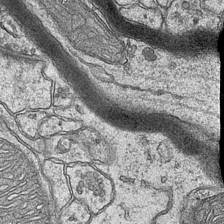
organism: Mouse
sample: CA1 Hippocampus